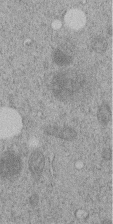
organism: C. elegans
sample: C. elegans embryo early stage